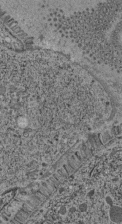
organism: C. elegans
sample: C. elegans pharynx